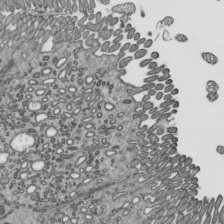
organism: Mouse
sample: Mouse epididymis efferent ductule cilia